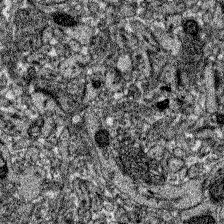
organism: Zebrafish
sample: Larval olfactory bulb